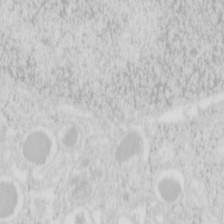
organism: Mouse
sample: Pancreas